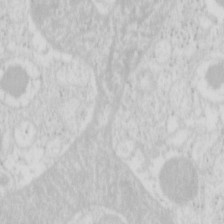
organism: Mouse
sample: Pancreas